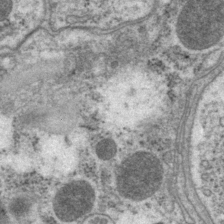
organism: P. pacificus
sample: Pharynx